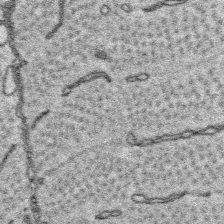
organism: Platynereis dumerilii